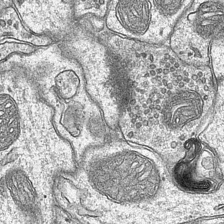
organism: Mouse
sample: CA1 Hippocampus